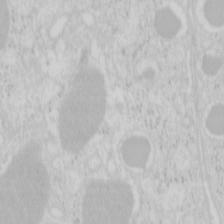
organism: Mouse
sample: Pancreas